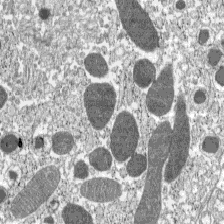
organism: C57BL Mouse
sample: Pancreatic islet